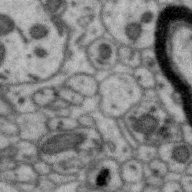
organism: Zebra finch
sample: Brain